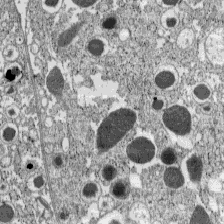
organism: C57BL Mouse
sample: Pancreatic islet